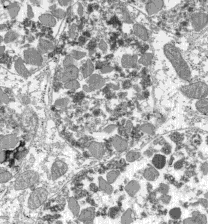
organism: C57BL Mouse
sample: Pancreatic islet